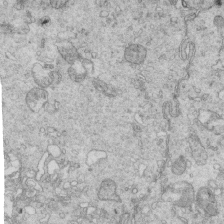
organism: Mouse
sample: Multiciliated cells